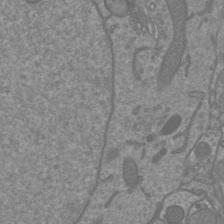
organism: Mouse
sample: Cortical neurons